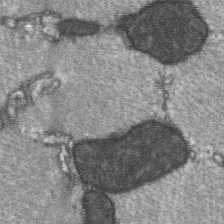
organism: C57BL Mouse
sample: Soleus